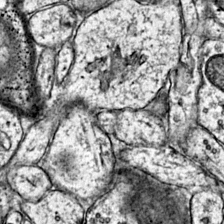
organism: Mouse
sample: Primary visual cortex